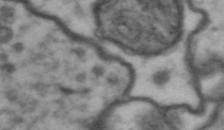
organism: Drosophila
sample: Brain